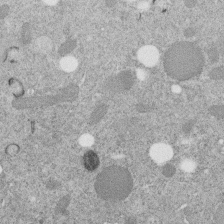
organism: C. elegans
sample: C. elegans embryo early stage